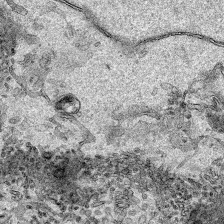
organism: Human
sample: Mitochondria in HCT116 cells